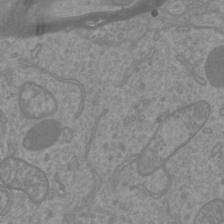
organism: Mouse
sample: Cortical neurons